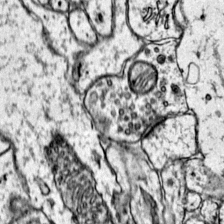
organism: Mouse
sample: Primary visual cortex